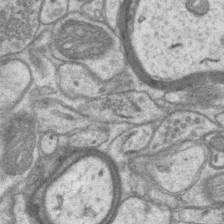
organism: Mouse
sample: CA1 Hippocampus